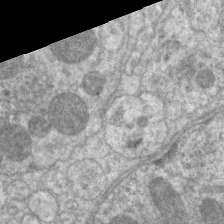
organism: C. elegans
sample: Pharynx